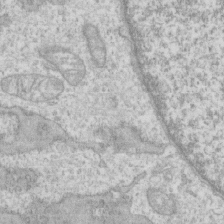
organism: Human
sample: CRL-1474